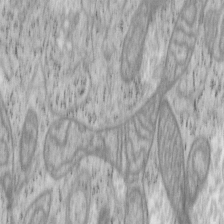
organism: Human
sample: HeLa cells